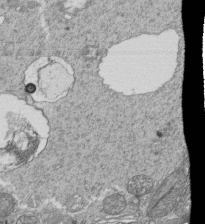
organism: Tetrahymena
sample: Cilia in tetrahymena